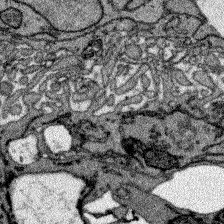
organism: Zebrafish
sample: Larval olfactory bulb